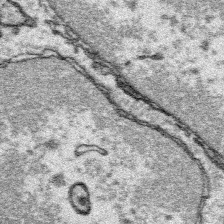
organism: Platynereis dumerilii